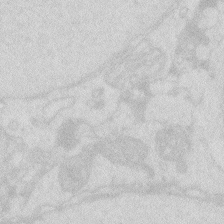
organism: Zebrafish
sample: Macrophage